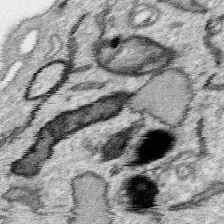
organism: Human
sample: HeLa cells